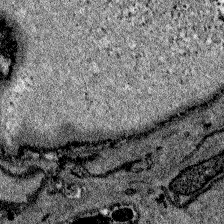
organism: Zebrafish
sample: Larval olfactory bulb